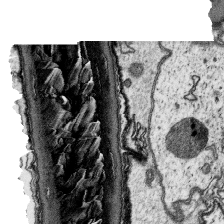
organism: Platynereis dumerilii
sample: Parapodia